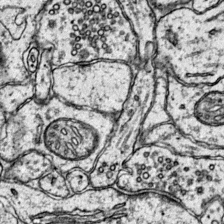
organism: Mouse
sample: Primary visual cortex